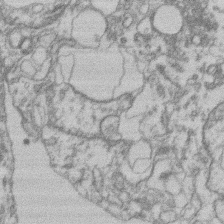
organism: Mouse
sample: T cell stromal cell synapse